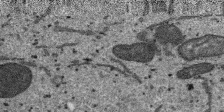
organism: Human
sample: Lung epithelial cells infected with SARS-CoV-2